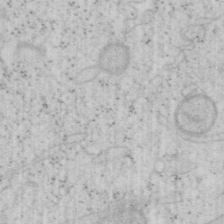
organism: Human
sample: HeLa cells